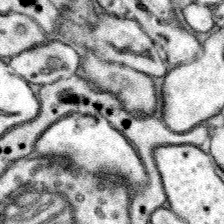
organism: Mouse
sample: Somatosensory cortex neuropil